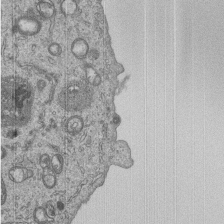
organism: Human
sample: MDA-MB-231 cells